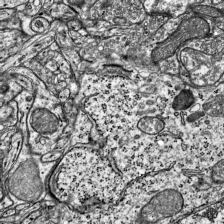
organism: Mouse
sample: Visual Cortex